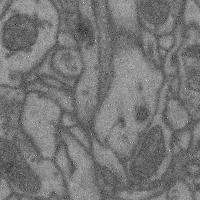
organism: Mouse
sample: Cerebral cortex